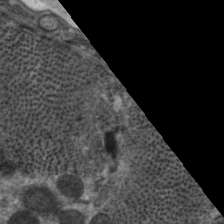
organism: C. elegans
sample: Pharynx